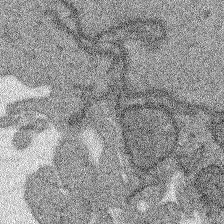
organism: Human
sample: HeLa cells